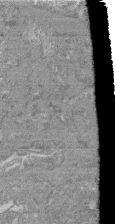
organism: Mouse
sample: Glomerulus